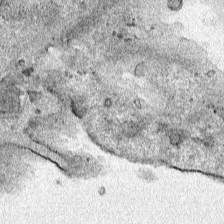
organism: Human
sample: Mitochondria in HCT116 cells